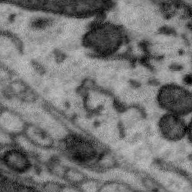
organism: Zebra finch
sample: Brain